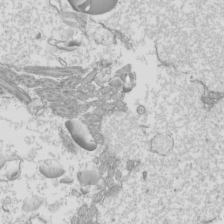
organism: Mouse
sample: Cilia; mouse epididymis